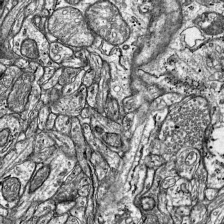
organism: Mouse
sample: Visual Cortex